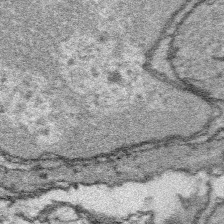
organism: Platynereis dumerilii